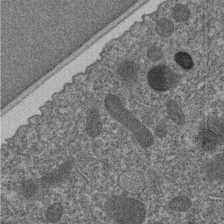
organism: C. elegans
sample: C. elegans embryo early stage